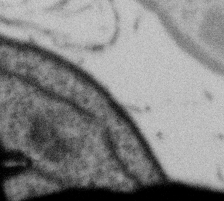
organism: Gemmata obscuriglobus